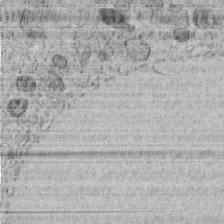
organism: C. elegans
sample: C. elegans embryo early stage